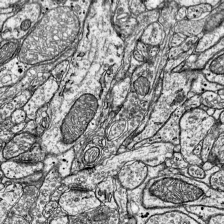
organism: Mouse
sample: Visual Cortex